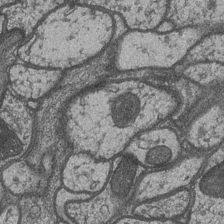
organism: Drosophila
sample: Optic medulla